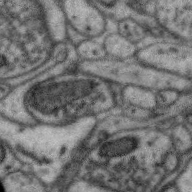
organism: Zebra finch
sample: Brain